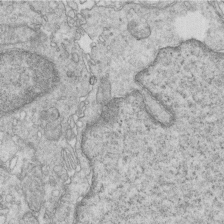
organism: Mouse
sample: Multiciliated cells